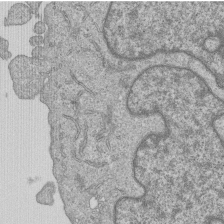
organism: Human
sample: MDA-MB-231 cells